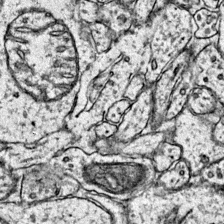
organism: Mouse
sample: Primary visual cortex